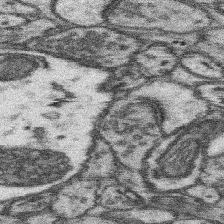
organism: Mouse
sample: Somatosensory cortex neuropil